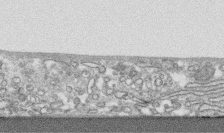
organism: Human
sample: CRL-1474